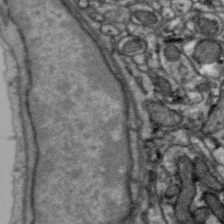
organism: Zebra finch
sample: Brain